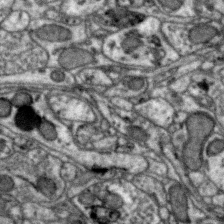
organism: Zebra finch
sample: Brain